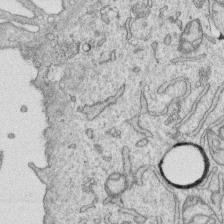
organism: Human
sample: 1205lu cells